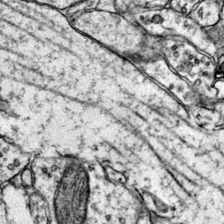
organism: Mouse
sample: Primary visual cortex